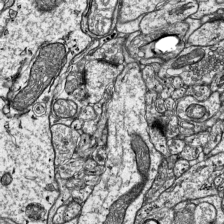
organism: Mouse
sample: Visual Cortex